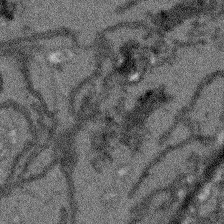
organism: Arabidopsis thaliana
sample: Root tip